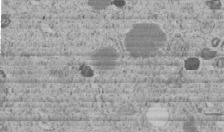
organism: C. elegans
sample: C. elegans embryo early stage